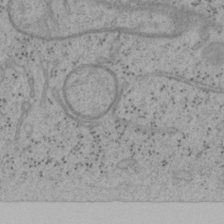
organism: Human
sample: HeLa cells